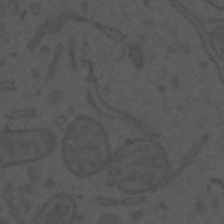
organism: Mouse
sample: Suprachiasmatic nucleus